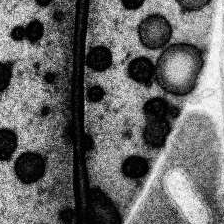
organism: Human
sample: Temporal Lobe